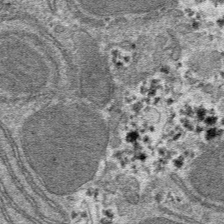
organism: Mouse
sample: Mouse hepatocytes